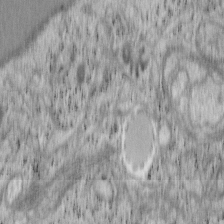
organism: Human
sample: HeLa cells